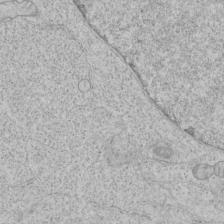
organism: Human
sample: Mitochondria in HCT116 cells